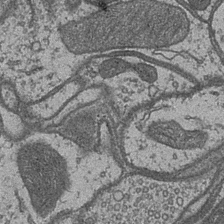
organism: Drosophila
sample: Optic medulla